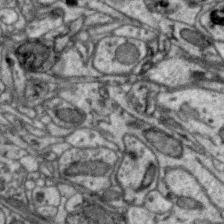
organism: Zebra finch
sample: Brain